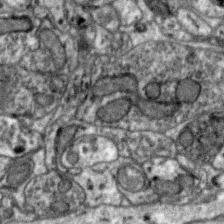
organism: Zebra finch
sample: Brain